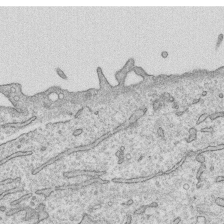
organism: Human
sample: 1205lu cells